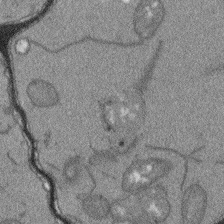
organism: Arabidopsis thaliana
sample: Root tip